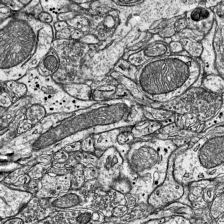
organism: Mouse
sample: Visual Cortex